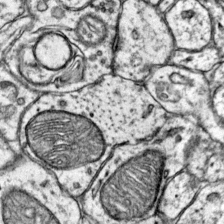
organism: Mouse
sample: Primary visual cortex